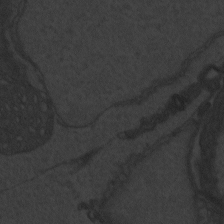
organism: Zebrafish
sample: Macrophage infected with Toxoplasma gondii